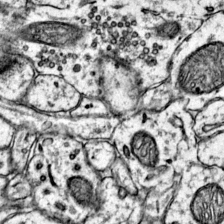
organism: Mouse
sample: Primary visual cortex